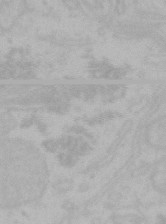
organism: Mouse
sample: Choroid plexus